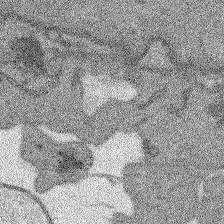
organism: Human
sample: HeLa cells